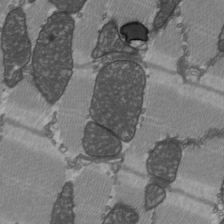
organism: C57BL Mouse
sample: Heart